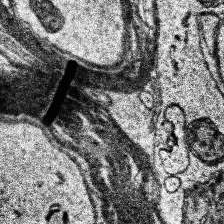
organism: Human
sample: Temporal Lobe